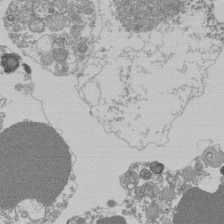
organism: Mouse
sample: Activated Pmel transgenic CD8+ T Cells